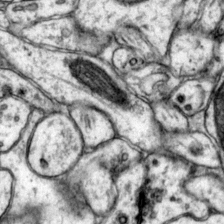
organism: Mouse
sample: Primary visual cortex